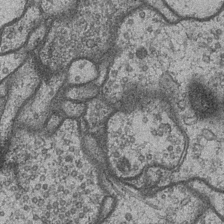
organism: Drosophila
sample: Optic medulla